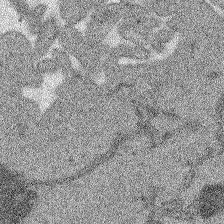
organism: Human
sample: HeLa cells